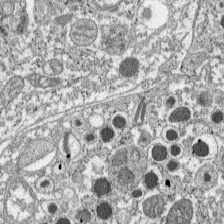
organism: C57BL Mouse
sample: Pancreatic islet